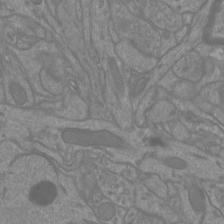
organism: Mouse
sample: Cortical neurons